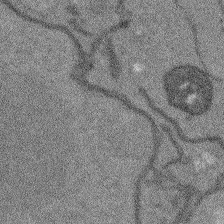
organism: Arabidopsis thaliana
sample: Root tip